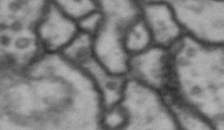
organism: Drosophila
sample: Brain